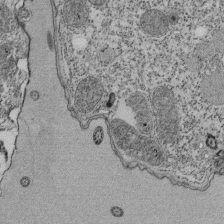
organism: Tetrahymena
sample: Cilia in tetrahymena